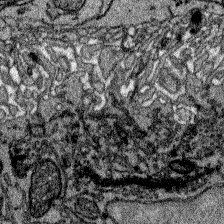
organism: Zebrafish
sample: Larval olfactory bulb